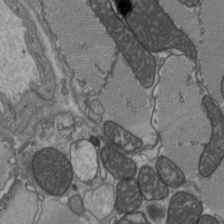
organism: C57BL Mouse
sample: Heart